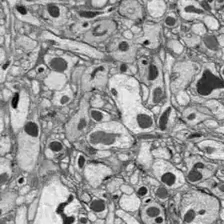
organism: Drosophila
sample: Optic lobe